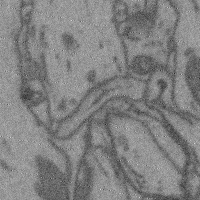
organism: Mouse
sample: Cerebral cortex